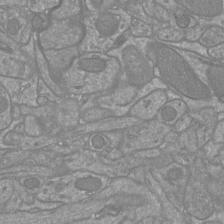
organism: Mouse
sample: Cortical neurons